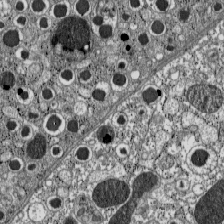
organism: C57BL Mouse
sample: Pancreatic islet